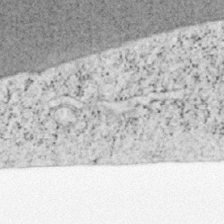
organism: Mouse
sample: OT-I killer T cells with ID8 ovarian cancer cells